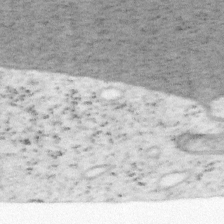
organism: Mouse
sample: OT-I killer T cells with ID8 ovarian cancer cells